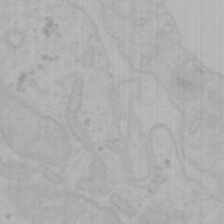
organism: Mouse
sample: Choroid plexus